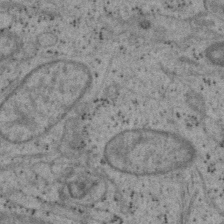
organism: Human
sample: HeLa cells